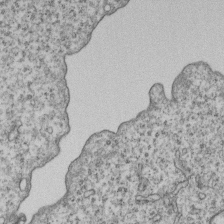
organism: Human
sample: MDA-MB-231 cells